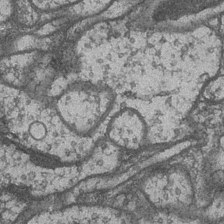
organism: Drosophila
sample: Optic medulla